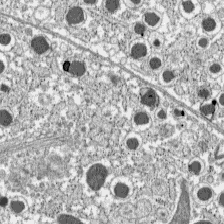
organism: C57BL Mouse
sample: Pancreatic islet